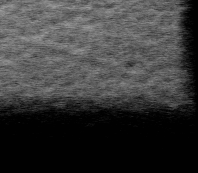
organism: Human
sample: HeLa cells